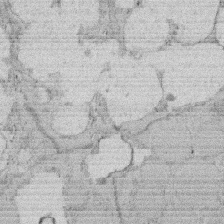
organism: Rat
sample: Salivary granule